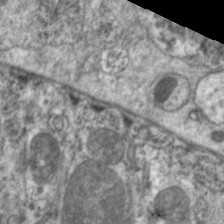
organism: C. elegans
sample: Pharynx